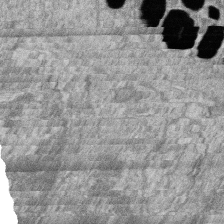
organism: Zebrafish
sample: Cilia; retinal pigment epithelium